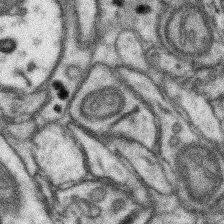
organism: Mouse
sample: Somatosensory cortex neuropil